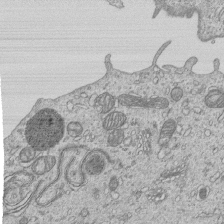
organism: Human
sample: MDA-MB-231 cells